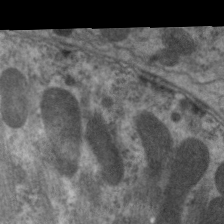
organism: C. elegans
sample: Pharynx